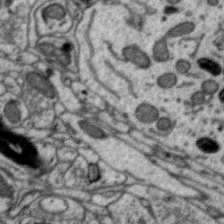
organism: Zebra finch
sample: Brain